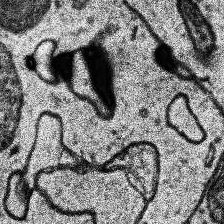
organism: Human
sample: Temporal Lobe